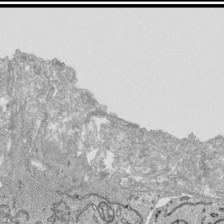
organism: Human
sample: Mitochondria in HCT116 cells